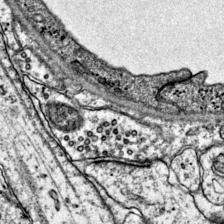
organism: Mouse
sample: Primary visual cortex